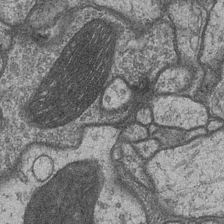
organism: Drosophila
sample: Optic medulla